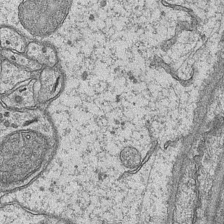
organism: Mouse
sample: CA1 Hippocampus